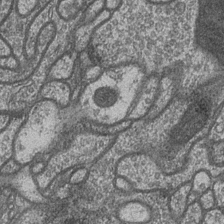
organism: Drosophila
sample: Optic medulla